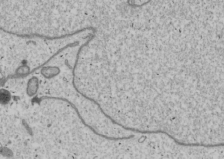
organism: Human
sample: Mitochondria in U2OS cells